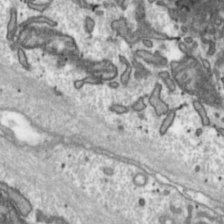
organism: Toxoplasma gondii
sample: Parasites in a vacuole inside a host cell